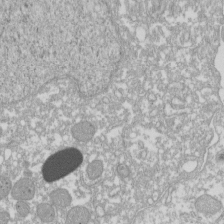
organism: Xenopus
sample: Cilia; centrioles in frog embryo cells